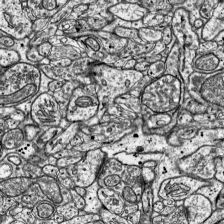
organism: Mouse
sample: Visual Cortex